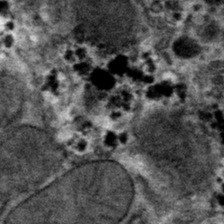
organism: Mouse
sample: Mouse hepatocytes